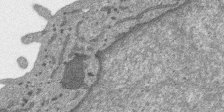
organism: Human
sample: Lung epithelial cells infected with SARS-CoV-2